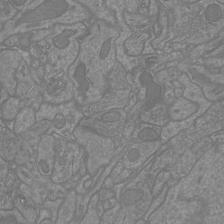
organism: Mouse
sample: Cortical neurons